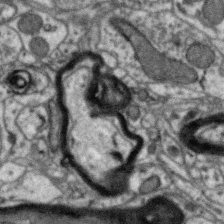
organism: Zebra finch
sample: Brain